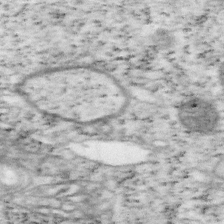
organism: Mouse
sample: OT-I killer T cells with ID8 ovarian cancer cells